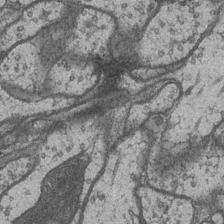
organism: Drosophila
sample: Optic medulla